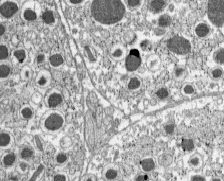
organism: C57BL Mouse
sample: Pancreatic islet